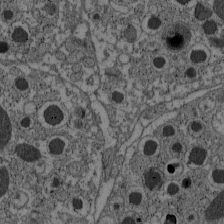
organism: C57BL Mouse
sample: Pancreatic islet